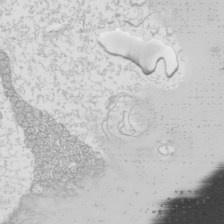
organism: Mouse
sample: Cilia; mouse epididymis